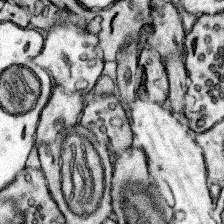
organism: Mouse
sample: Somatosensory cortex neuropil